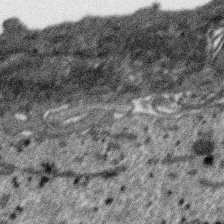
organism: Human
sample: Lung epithelial cells infected with SARS-CoV-2